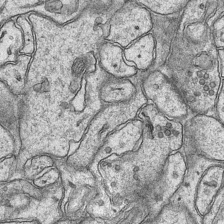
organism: Mouse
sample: CA1 Hippocampus